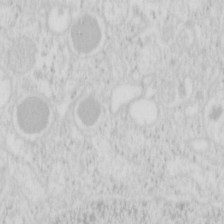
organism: Mouse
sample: Pancreas